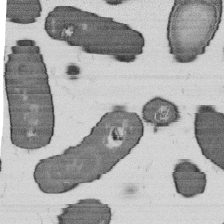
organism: B. subtilis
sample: Bacterial spore